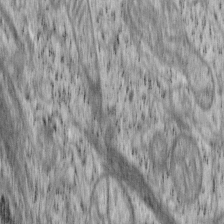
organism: Human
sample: HeLa cells